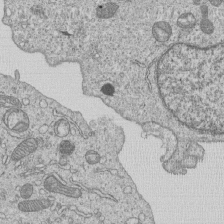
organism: Human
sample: MDA-MB-231 cells